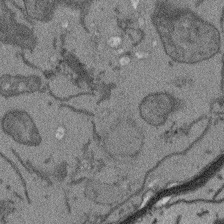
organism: Arabidopsis thaliana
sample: Root tip